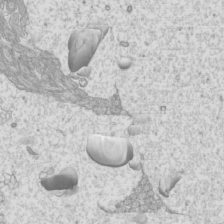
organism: Mouse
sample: Cilia; mouse epididymis